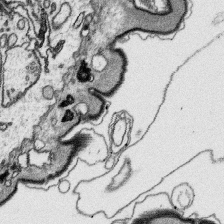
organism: Platynereis dumerilii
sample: Parapodia